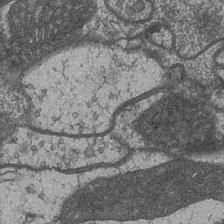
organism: Drosophila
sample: Optic medulla